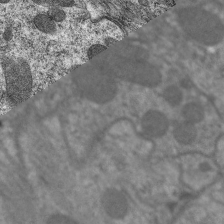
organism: C. elegans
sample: Pharynx